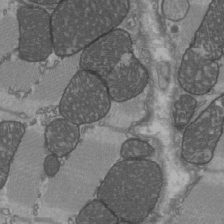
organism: C57BL Mouse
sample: Heart